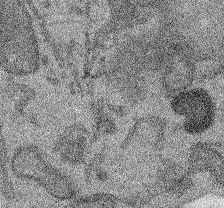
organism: Human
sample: HeLa cells